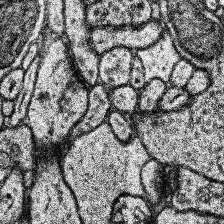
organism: Human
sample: Temporal Lobe